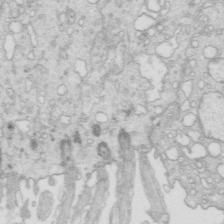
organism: Mouse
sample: Multiciliated cells